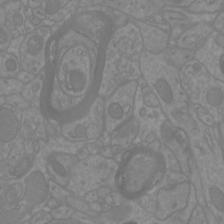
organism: Mouse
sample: Cortical neurons